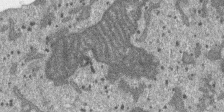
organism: Human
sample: Lung epithelial cells infected with SARS-CoV-2